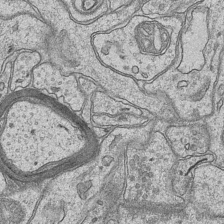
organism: Mouse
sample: CA1 Hippocampus